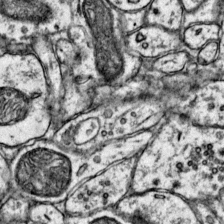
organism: Mouse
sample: Primary visual cortex